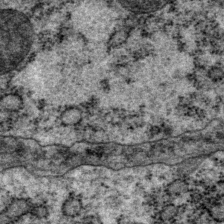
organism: P. pacificus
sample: Pharynx